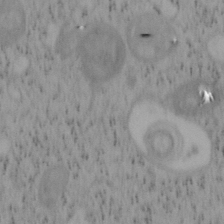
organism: Mouse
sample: OT-I killer T cells with ID8 ovarian cancer cells